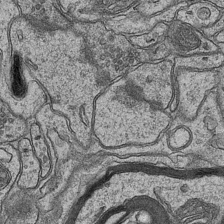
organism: Mouse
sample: CA1 Hippocampus